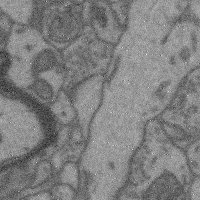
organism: Mouse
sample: Cerebral cortex